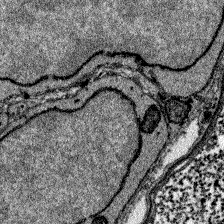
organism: Zebrafish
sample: Larval olfactory bulb